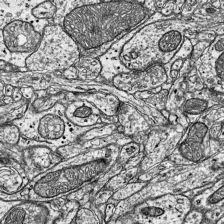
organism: Mouse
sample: Visual Cortex